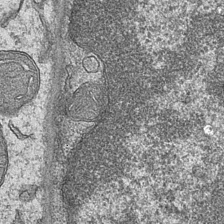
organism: Mouse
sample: CA1 Hippocampus